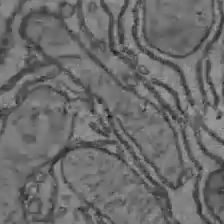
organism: C57BL Mouse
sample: Liver